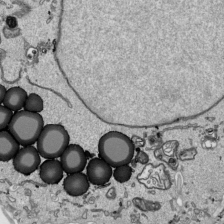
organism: Human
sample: Mitochondria in HCT116 cells